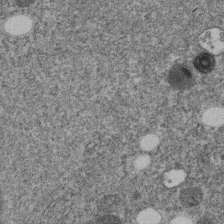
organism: C. elegans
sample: C. elegans embryo early stage